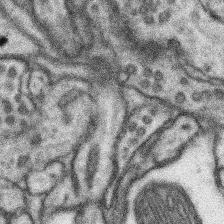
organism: Mouse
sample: Somatosensory cortex neuropil